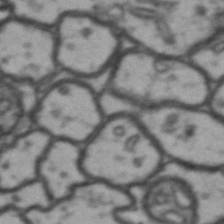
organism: Drosophila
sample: Brain